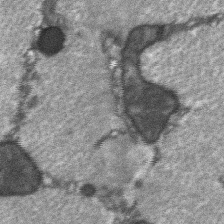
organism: C57BL Mouse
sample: Soleus